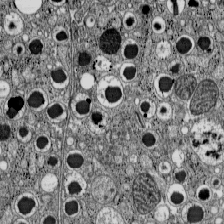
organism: C57BL Mouse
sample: Pancreatic islet